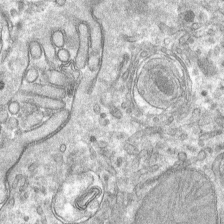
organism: Mouse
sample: Mouse hepatocytes